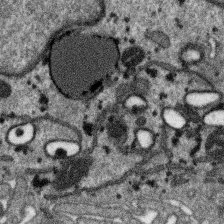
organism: Human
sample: Lung epithelial cells infected with SARS-CoV-2